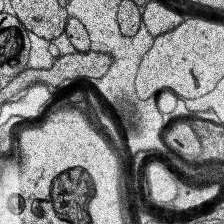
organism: Human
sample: Temporal Lobe